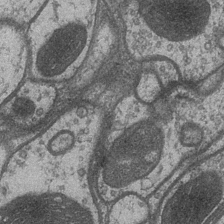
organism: Drosophila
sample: Optic medulla